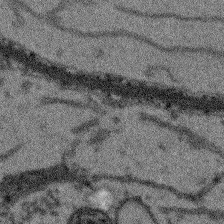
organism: Arabidopsis thaliana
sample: Root tip